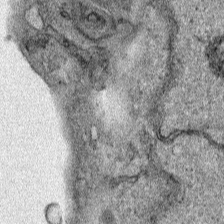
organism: Human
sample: Mitochondria in HCT116 cells